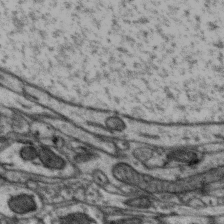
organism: Zebra finch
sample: Brain